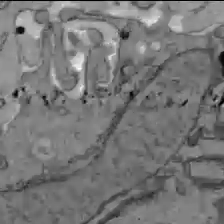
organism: C57BL Mouse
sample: Liver